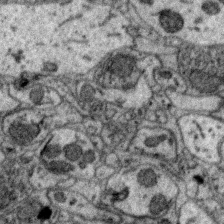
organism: Zebra finch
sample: Brain